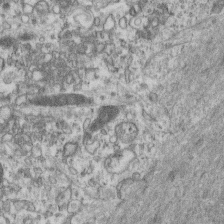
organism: Mouse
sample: Centriole in ependymal cells